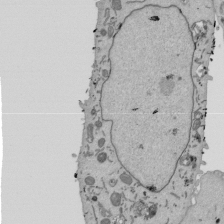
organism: Mouse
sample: ED-1 cell nuclei; centrioles